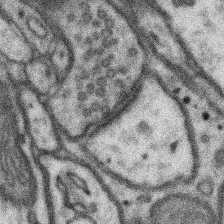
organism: Mouse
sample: Somatosensory cortex neuropil